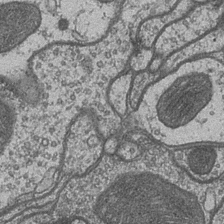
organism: Drosophila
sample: Optic medulla